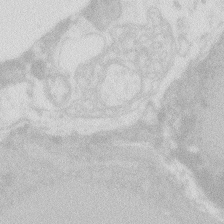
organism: Zebrafish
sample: Macrophage